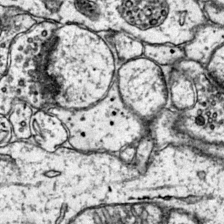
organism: Mouse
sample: Primary visual cortex